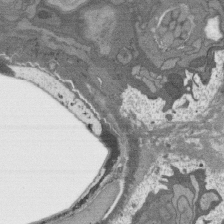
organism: C. elegans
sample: AFD neurons C. elegans